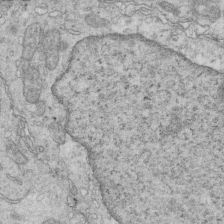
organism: Mouse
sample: Multiciliated cells